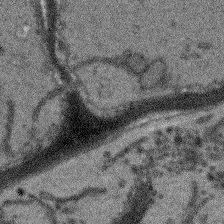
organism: Arabidopsis thaliana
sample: Root tip